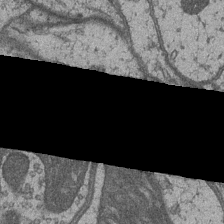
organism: Drosophila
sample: Optic medulla